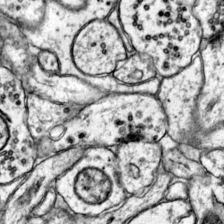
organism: Mouse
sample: Primary visual cortex